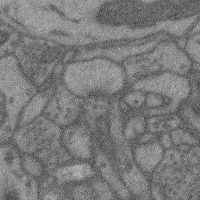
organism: Mouse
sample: Cerebral cortex